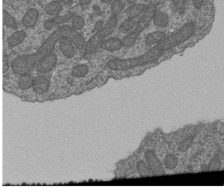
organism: Human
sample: Retinal organoid Rod and Cone cells